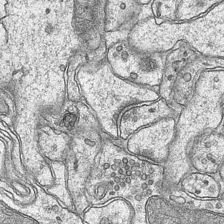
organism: Mouse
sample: CA1 Hippocampus